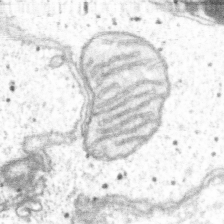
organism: Human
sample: HeLa cells